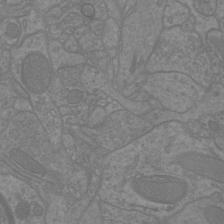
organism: Mouse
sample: Cortical neurons